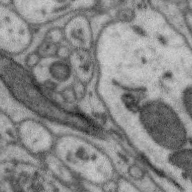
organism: Zebra finch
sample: Brain